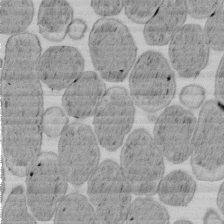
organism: E. coli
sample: Bacterial nucleoid